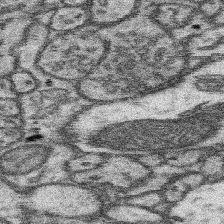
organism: Mouse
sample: Somatosensory cortex neuropil